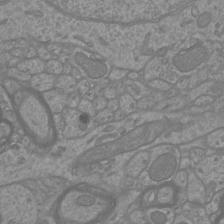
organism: Mouse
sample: Cortical neurons